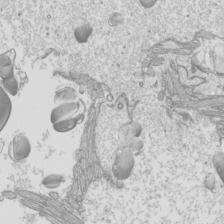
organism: Mouse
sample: Cilia; mouse epididymis